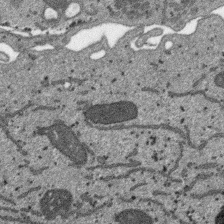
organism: Human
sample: Lung epithelial cells infected with SARS-CoV-2